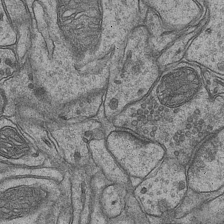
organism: Mouse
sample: CA1 Hippocampus